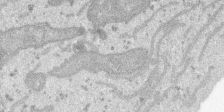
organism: Human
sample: Lung epithelial cells infected with SARS-CoV-2